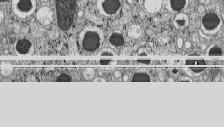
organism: C57BL Mouse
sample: Pancreatic islet